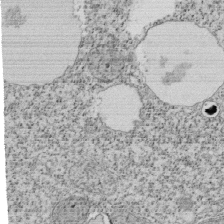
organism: Tetrahymena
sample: Cilia in tetrahymena